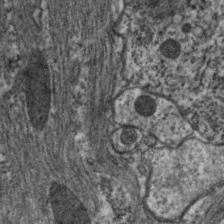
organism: C. elegans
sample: Pharynx